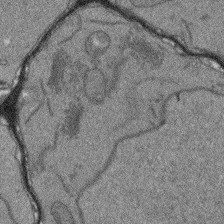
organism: Arabidopsis thaliana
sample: Root tip